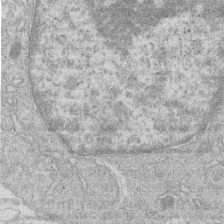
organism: Human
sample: Macrophage cells